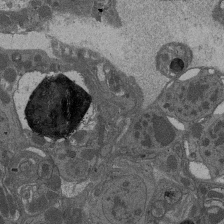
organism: Drosophila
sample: Antenna